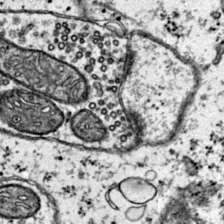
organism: Mouse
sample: Primary visual cortex